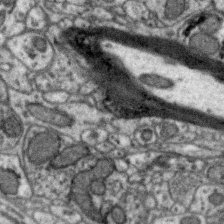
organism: Zebra finch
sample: Brain